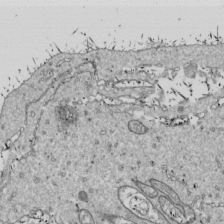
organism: Drosophila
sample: Cell division; meiosis; drosophila spermatocytes